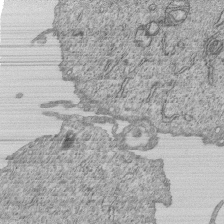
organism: Human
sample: MDA-MB-231 cells